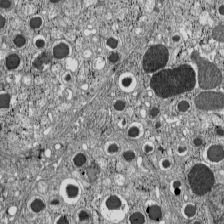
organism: C57BL Mouse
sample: Pancreatic islet